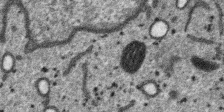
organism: Human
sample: Lung epithelial cells infected with SARS-CoV-2